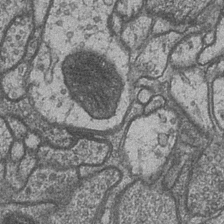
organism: Drosophila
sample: Optic medulla